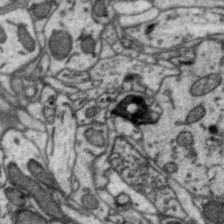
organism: Zebra finch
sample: Brain